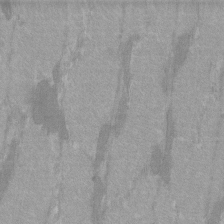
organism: C57BL Mouse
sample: Tibialis anterior muscle cell